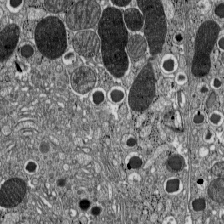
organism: C57BL Mouse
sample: Pancreatic islet